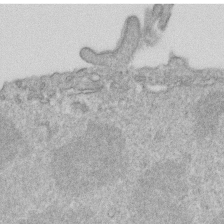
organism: Mouse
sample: Activated OT-1 CD8+ T cells